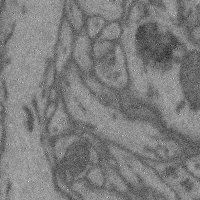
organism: Mouse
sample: Cerebral cortex